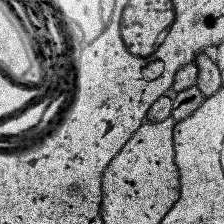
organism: Human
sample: Temporal Lobe